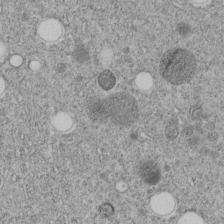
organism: C. elegans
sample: C. elegans embryo early stage